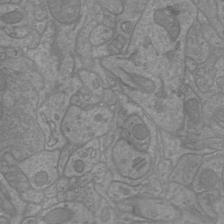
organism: Mouse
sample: Cortical neurons